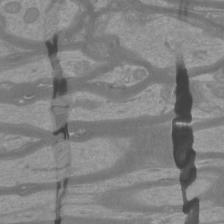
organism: Mouse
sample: Cortical neurons